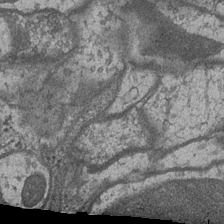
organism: Drosophila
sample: Optic medulla